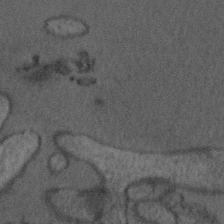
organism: Human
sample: HeLa cells